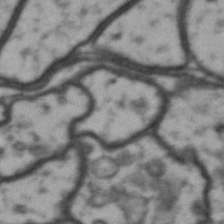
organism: Drosophila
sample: Brain